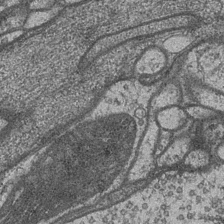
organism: Drosophila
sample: Optic medulla